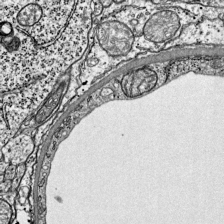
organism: Mouse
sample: Visual Cortex